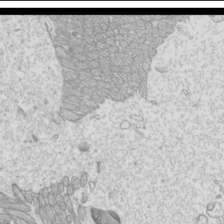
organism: Mouse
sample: Cilia; mouse epididymis